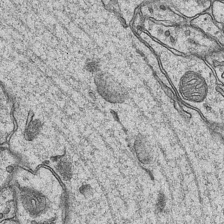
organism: Mouse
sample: CA1 Hippocampus